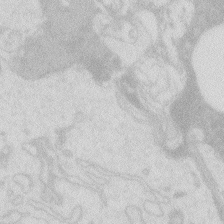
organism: Zebrafish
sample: Macrophage